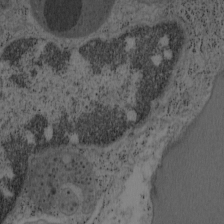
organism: Mouse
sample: OT-I killer T cells with ID8 ovarian cancer cells